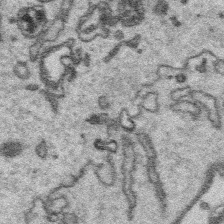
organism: Platynereis dumerilii